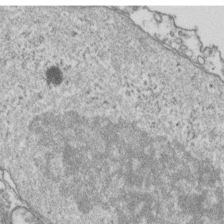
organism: Human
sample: Activated Jurkat CD4+ T cells